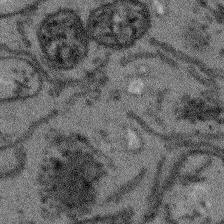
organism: Arabidopsis thaliana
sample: Root tip